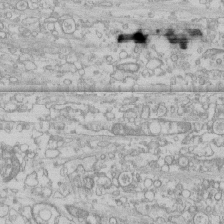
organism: Human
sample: CRL-1474